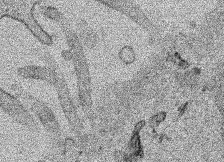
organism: Human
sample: Mitochondria in HCT116 cells